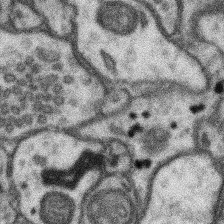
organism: Mouse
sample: Somatosensory cortex neuropil